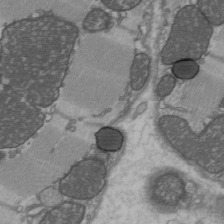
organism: C57BL Mouse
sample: Heart